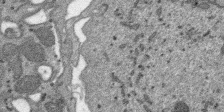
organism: Human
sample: Lung epithelial cells infected with SARS-CoV-2